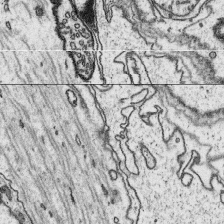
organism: Platynereis dumerilii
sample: Parapodia